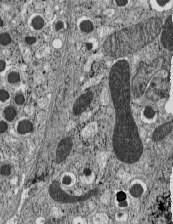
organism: C57BL Mouse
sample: Pancreatic islet